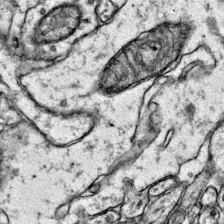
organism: Mouse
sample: Primary visual cortex